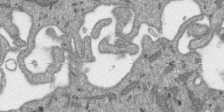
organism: Human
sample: Lung epithelial cells infected with SARS-CoV-2